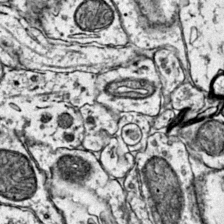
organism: Mouse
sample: Primary visual cortex